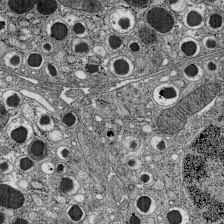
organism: C57BL Mouse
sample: Pancreatic islet